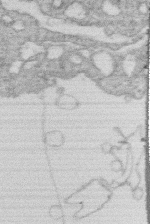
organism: Human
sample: Macrophage cells